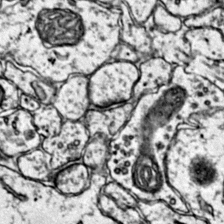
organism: Mouse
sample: Primary visual cortex